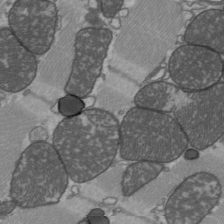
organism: C57BL Mouse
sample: Heart